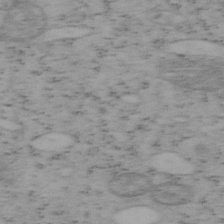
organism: Mouse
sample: OT-I killer T cells with ID8 ovarian cancer cells